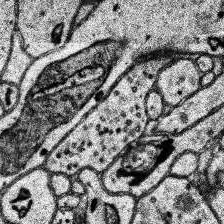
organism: Human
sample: Temporal Lobe